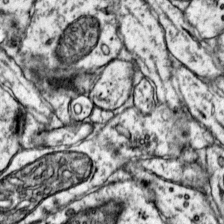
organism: Mouse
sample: Primary visual cortex